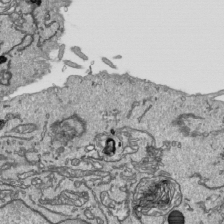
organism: Human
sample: Mitochondria in HCT116 cells